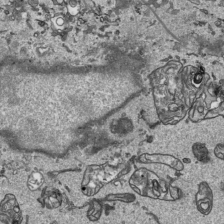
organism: Human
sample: Mitochondria in HCT116 cells